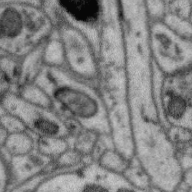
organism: Zebra finch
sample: Brain